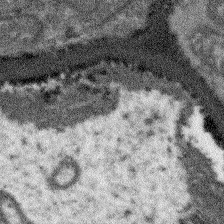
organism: Arabidopsis thaliana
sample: Root tip